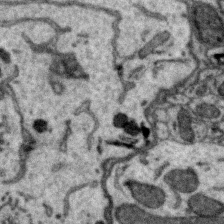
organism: Zebra finch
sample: Brain